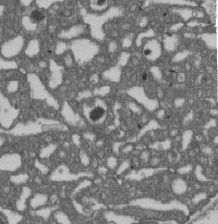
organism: Drosophila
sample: Nephrocyte